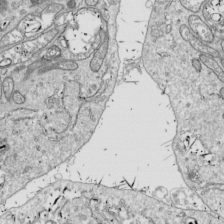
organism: Drosophila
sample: Cell division; meiosis; drosophila spermatocytes